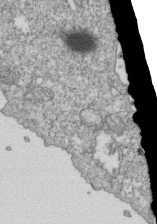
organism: Human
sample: HeLa cell HIV synapse